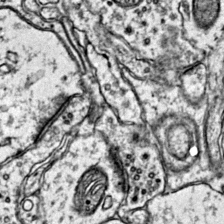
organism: Mouse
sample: Primary visual cortex